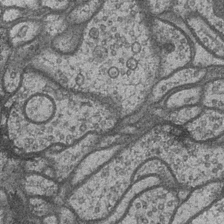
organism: Drosophila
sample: Optic medulla